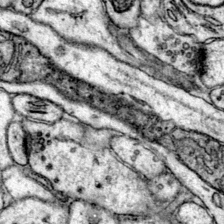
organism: Mouse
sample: Primary visual cortex